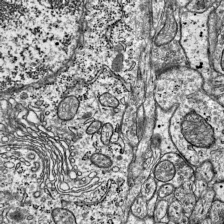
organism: Mouse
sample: Visual Cortex